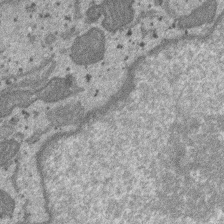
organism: Human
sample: Lung epithelial cells infected with SARS-CoV-2